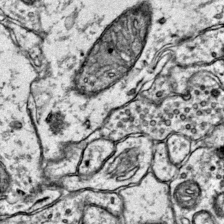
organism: Mouse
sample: Primary visual cortex